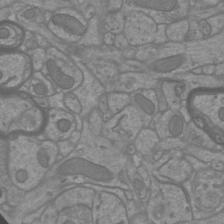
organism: Mouse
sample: Cortical neurons